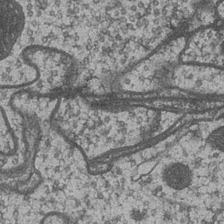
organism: Drosophila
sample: Optic medulla